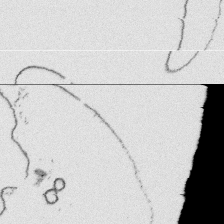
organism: Platynereis dumerilii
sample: Parapodia